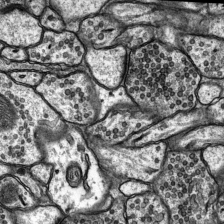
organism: Rat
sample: Hippocampus